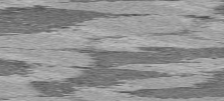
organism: C57BL Mouse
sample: Heart